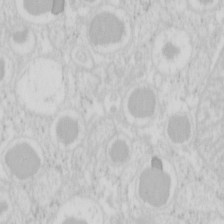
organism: Mouse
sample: Pancreas